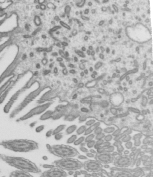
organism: Mouse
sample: Mouse epididymis efferent ductule cilia